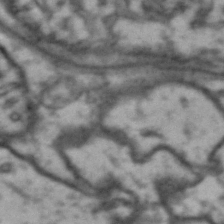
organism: Drosophila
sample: Brain